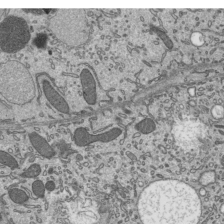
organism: Mouse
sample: Mouse epididymis efferent ductule cilia